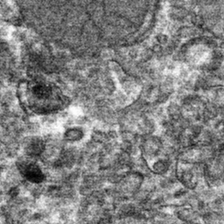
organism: Mouse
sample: Mouse hepatocytes